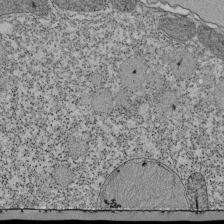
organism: Tetrahymena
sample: Cilia in tetrahymena